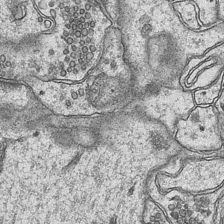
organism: Mouse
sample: CA1 Hippocampus